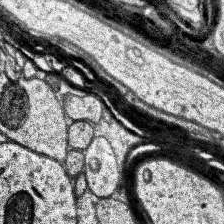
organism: Human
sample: Temporal Lobe